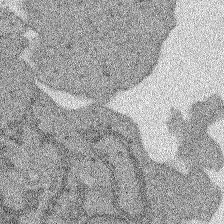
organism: Human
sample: HeLa cells